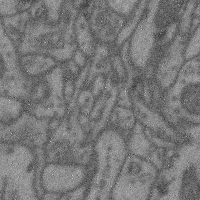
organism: Mouse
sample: Cerebral cortex